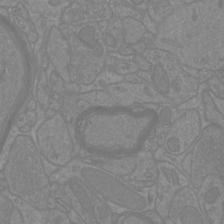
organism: Mouse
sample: Cortical neurons